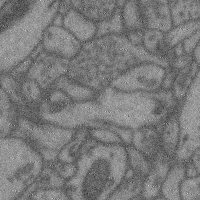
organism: Mouse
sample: Cerebral cortex